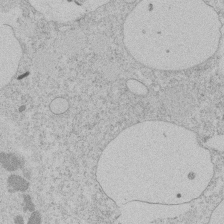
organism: Tetrahymena